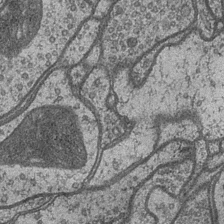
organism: Drosophila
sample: Optic medulla